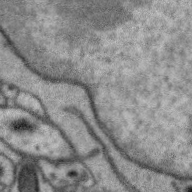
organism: Zebra finch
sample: Brain